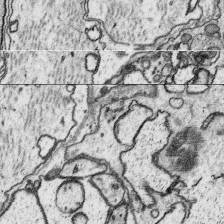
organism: Platynereis dumerilii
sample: Parapodia